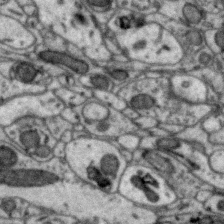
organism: Zebra finch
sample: Brain